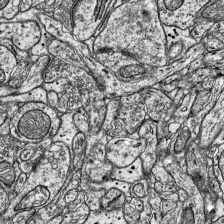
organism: Mouse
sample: Visual Cortex